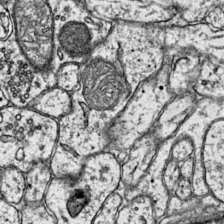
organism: Mouse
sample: Primary visual cortex